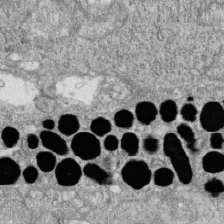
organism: Zebrafish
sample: Cilia; retinal pigment epithelium